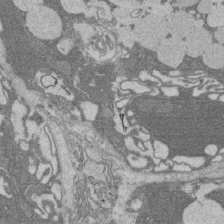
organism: Rat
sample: Salivary granule